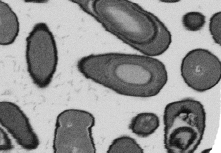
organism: B. subtilis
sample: Bacterial spore